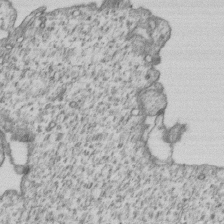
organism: Human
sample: MDA-MB-231 cells